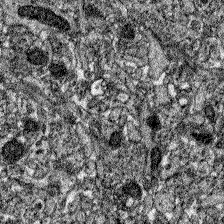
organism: Zebrafish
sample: Larval olfactory bulb